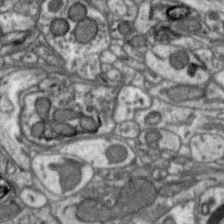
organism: Zebra finch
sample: Brain